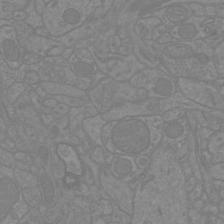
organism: Mouse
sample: Cortical neurons